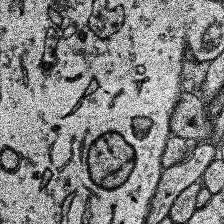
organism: Human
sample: Temporal Lobe